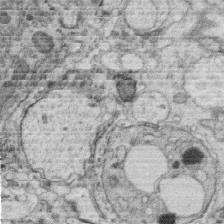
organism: C. elegans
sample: C. elegans oocyte; sperm cells